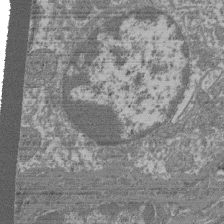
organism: Mouse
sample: Glomerulus